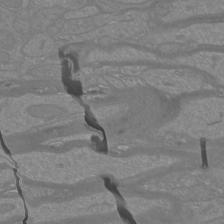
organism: Mouse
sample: Cortical neurons